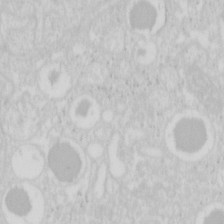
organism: Mouse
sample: Pancreas